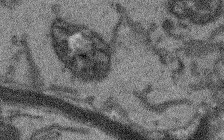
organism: Arabidopsis thaliana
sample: Root tip